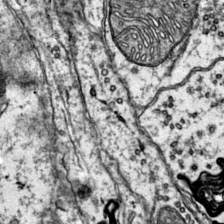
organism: Mouse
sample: Primary visual cortex